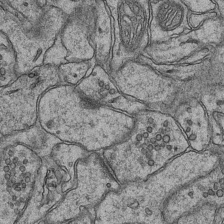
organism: Mouse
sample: CA1 Hippocampus